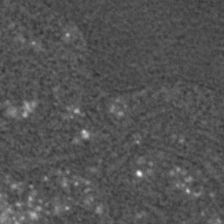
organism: C. elegans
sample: C. elegans embryo